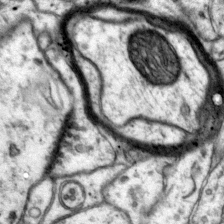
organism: Mouse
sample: Primary visual cortex